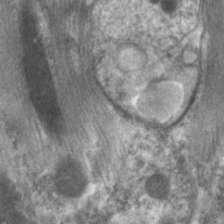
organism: C. elegans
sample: Pharynx